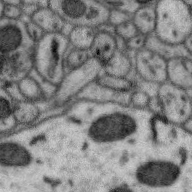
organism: Zebra finch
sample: Brain